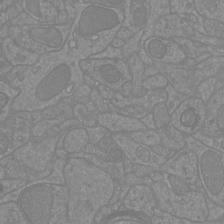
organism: Mouse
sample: Cortical neurons